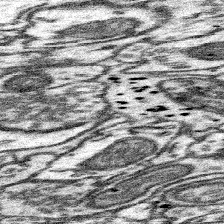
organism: Mouse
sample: Somatosensory cortex neuropil